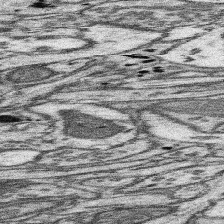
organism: Mouse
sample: Somatosensory cortex neuropil